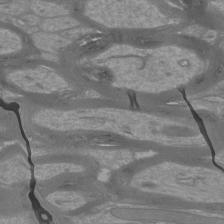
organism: Mouse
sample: Cortical neurons